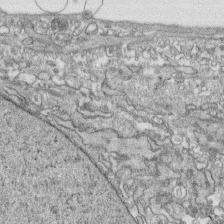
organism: Human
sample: CRL-1474